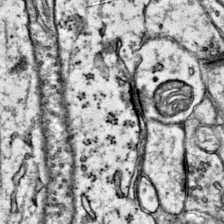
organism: Mouse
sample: Primary visual cortex